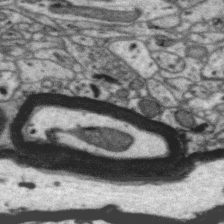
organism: Zebra finch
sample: Brain